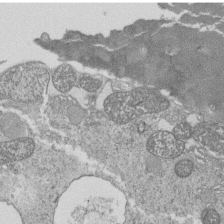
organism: Tetrahymena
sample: Cilia in tetrahymena